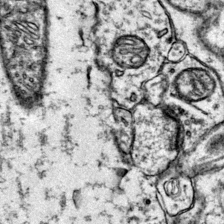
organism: Mouse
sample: Primary visual cortex